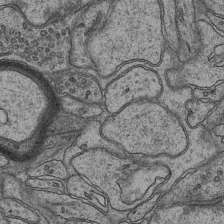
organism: Mouse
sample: CA1 Hippocampus